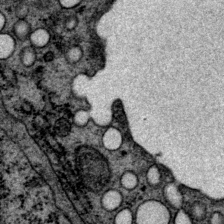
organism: P. pacificus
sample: Pharynx